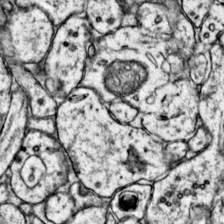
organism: Mouse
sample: Primary visual cortex